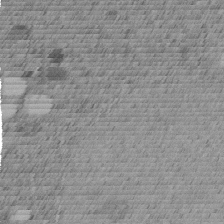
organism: C. elegans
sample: C. elegans embryo early stage